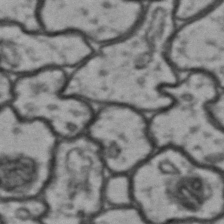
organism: Drosophila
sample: Brain